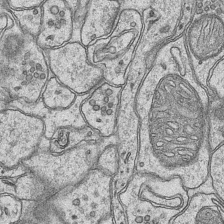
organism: Mouse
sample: CA1 Hippocampus